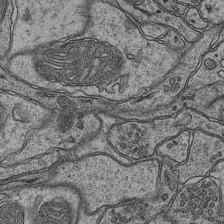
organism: Mouse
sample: CA1 Hippocampus